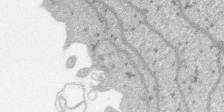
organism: Human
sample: Lung epithelial cells infected with SARS-CoV-2